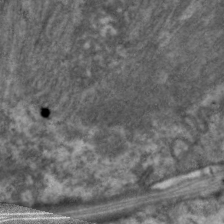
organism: C. elegans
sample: Pharynx